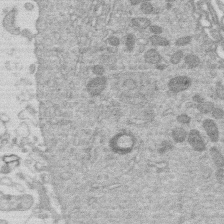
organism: Human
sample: Macrophage cells